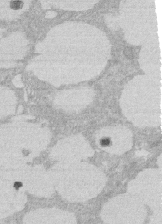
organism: Rat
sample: Salivary granule